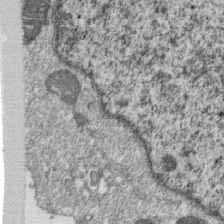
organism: African green monkey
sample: Vero E6 cells infected with SARS-CoV-2